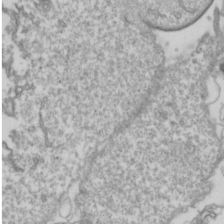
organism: Drosophila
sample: Cell division; meiosis; drosophila spermatocytes